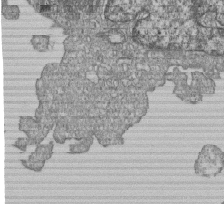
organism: Human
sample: MDA-MB-231 cells